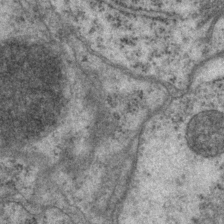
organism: P. pacificus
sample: Pharynx